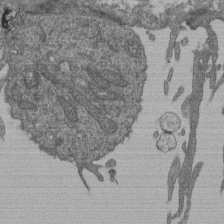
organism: Human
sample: Retinal organoid Rod and Cone cells